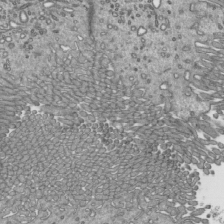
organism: Mouse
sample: Mouse epididymis efferent ductule cilia